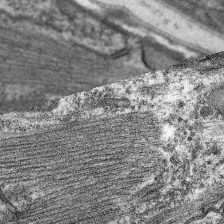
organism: C. elegans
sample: Pharynx